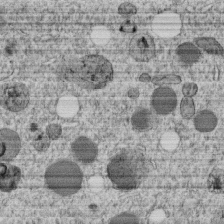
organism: C. elegans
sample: C. elegans embryo early stage